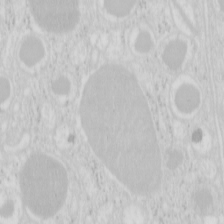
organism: Mouse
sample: Pancreas